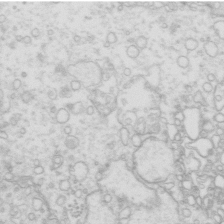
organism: Mouse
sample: Multiciliated cells